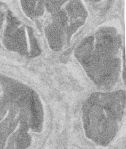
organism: Mouse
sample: T cell stromal cell synapse